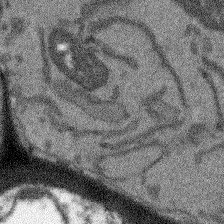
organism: Arabidopsis thaliana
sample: Root tip